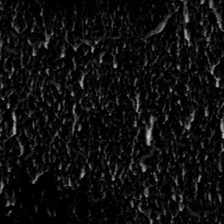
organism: Toxoplasma gondii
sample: Parasites in a vacuole inside a host cell